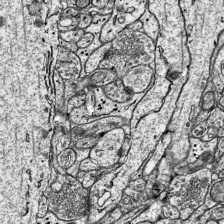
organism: Mouse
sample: Visual Cortex